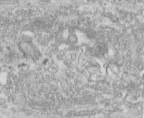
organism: Human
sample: Centriole in fibroblast cells